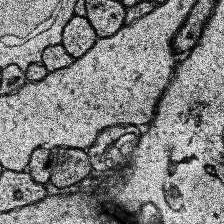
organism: Human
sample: Temporal Lobe